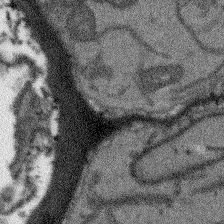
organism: Arabidopsis thaliana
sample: Root tip